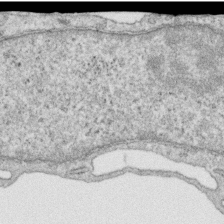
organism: Human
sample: Centriole in RPE cells